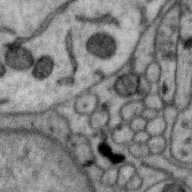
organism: Zebra finch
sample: Brain